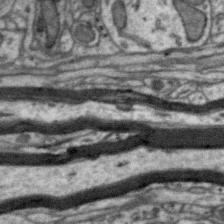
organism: Zebra finch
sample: Brain